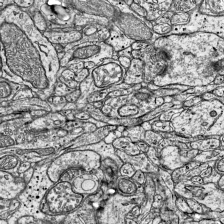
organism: Mouse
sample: Visual Cortex